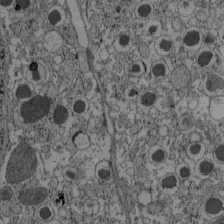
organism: C57BL Mouse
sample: Pancreatic islet